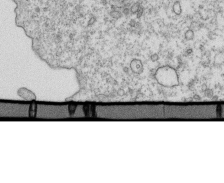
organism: Mouse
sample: Activated OT-1 CD8+ T cells